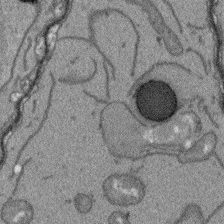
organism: Arabidopsis thaliana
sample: Root tip